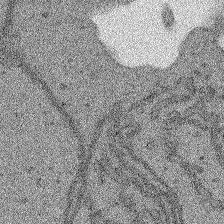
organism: Human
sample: HeLa cells